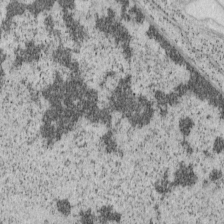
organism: Mouse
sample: OT-I killer T cells with ID8 ovarian cancer cells